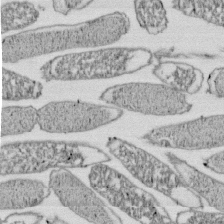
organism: E. coli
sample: Bacterial nucleoid